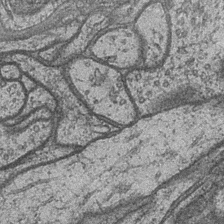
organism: Drosophila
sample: Optic medulla